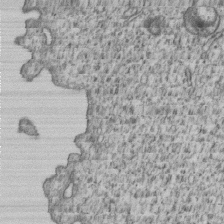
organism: Human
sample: MDA-MB-231 cells